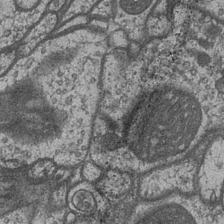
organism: Drosophila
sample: Optic medulla